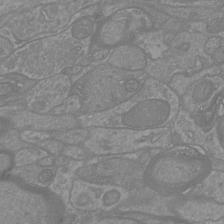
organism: Mouse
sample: Cortical neurons